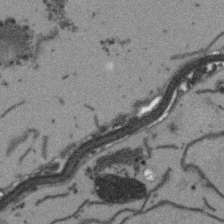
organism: Arabidopsis thaliana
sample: Root tip